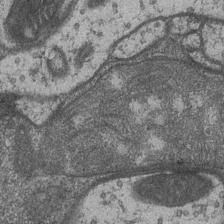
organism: Drosophila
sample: Optic medulla